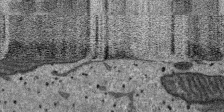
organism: Human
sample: Lung epithelial cells, uninfected (mock) control